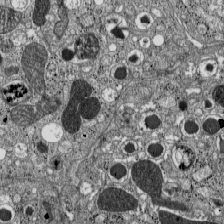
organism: C57BL Mouse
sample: Pancreatic islet